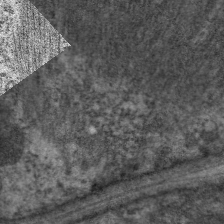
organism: C. elegans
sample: Pharynx